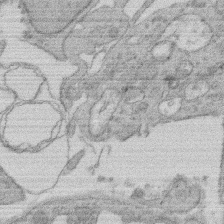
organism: Rat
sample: Salivary granule